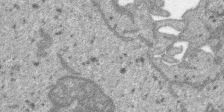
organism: Human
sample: Lung epithelial cells infected with SARS-CoV-2